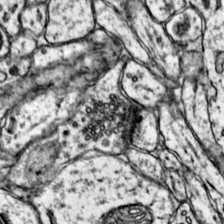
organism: Mouse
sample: Primary visual cortex